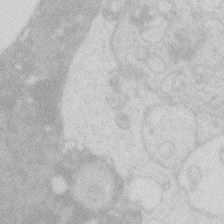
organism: Zebrafish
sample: Macrophage